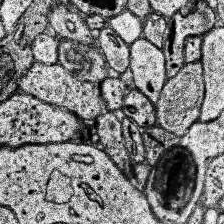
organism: Human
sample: Temporal Lobe